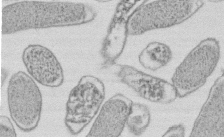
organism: E. coli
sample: Bacterial nucleoid